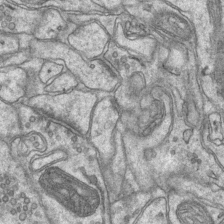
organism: Mouse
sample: CA1 Hippocampus